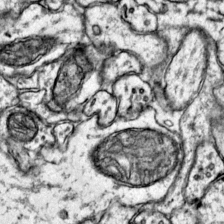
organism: Mouse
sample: Primary visual cortex